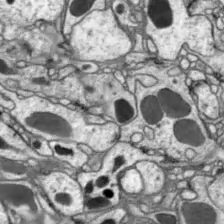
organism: Drosophila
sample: Optic lobe